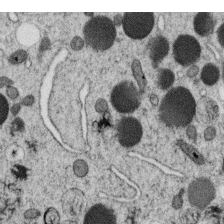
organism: C. elegans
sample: C. elegans oocyte; sperm cells